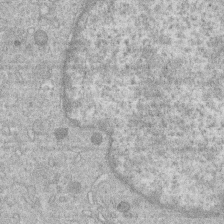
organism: Human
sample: Macrophage cells